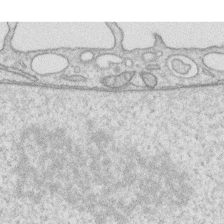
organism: Human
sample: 1205lu cells